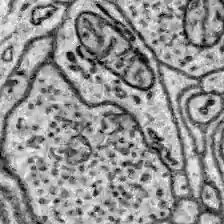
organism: Zebrafish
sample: Brain